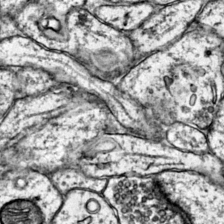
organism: Mouse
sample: Primary visual cortex